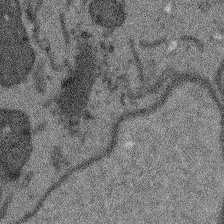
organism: Arabidopsis thaliana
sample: Root tip